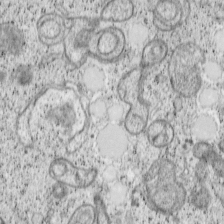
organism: African green monkey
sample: COS-7 cells